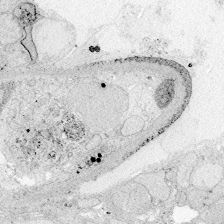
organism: Zebrafish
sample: Whole-Brain